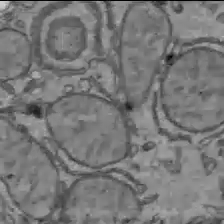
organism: C57BL Mouse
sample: Liver